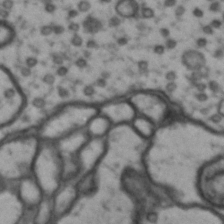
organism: Drosophila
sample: Brain